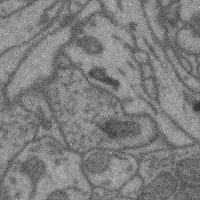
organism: Mouse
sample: Cerebral cortex